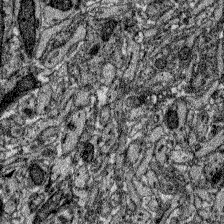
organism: Zebrafish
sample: Larval olfactory bulb